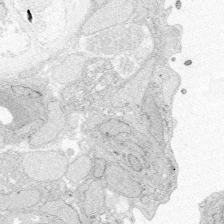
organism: Zebrafish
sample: Whole-Brain